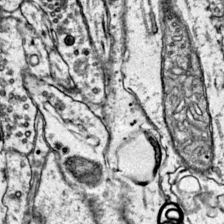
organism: Mouse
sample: Primary visual cortex